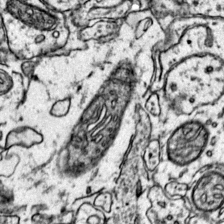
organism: Mouse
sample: Primary visual cortex